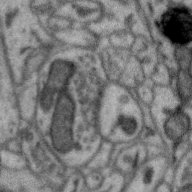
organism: Zebra finch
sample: Brain